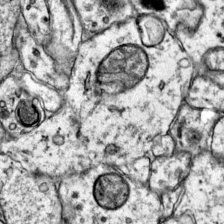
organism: Mouse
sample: Primary visual cortex